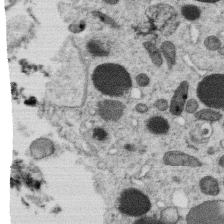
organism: C. elegans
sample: C. elegans oocyte; sperm cells